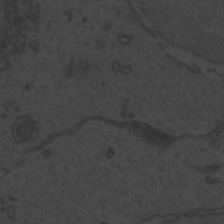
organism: Zebrafish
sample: Macrophage infected with Toxoplasma gondii